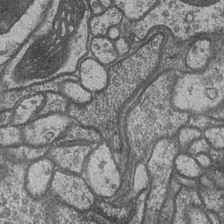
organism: Drosophila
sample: Optic medulla